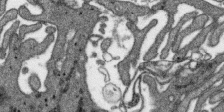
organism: Human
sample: Lung epithelial cells, uninfected (mock) control